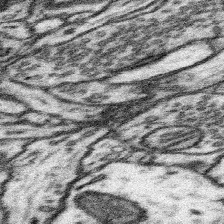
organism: Mouse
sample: Somatosensory cortex neuropil